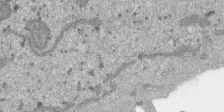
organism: Human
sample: Lung epithelial cells infected with SARS-CoV-2